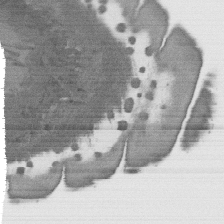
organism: C. elegans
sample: AFD neurons C. elegans